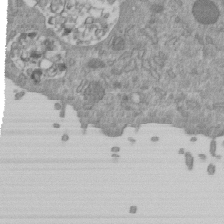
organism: Mouse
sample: ED-1 cell nuclei; centrioles